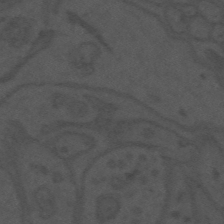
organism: Mouse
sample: Suprachiasmatic nucleus